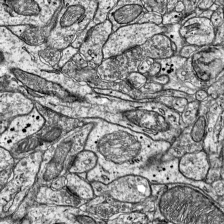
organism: Mouse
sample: Visual Cortex